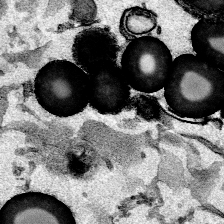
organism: Mouse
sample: Cancer cell death in ED-1 cells